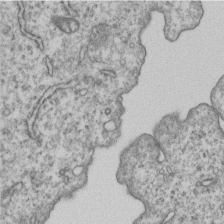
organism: Human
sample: MDA-MB-231 cells